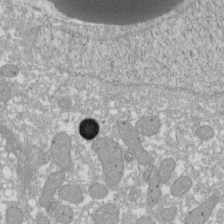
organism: Xenopus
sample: Cilia; centrioles in frog embryo cells